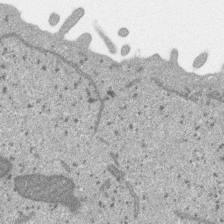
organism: Human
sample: Lung epithelial cells infected with SARS-CoV-2